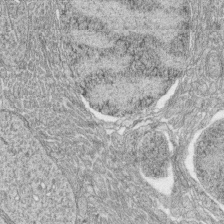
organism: Zebrafish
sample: synaptic ribbons in rod cells and cone cells